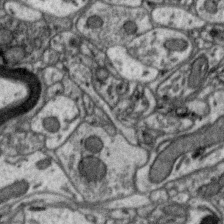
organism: Zebra finch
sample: Brain